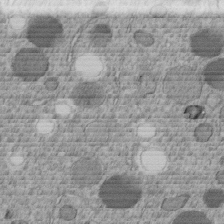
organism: C. elegans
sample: C. elegans embryo early stage